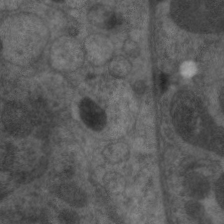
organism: C. elegans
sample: Pharynx